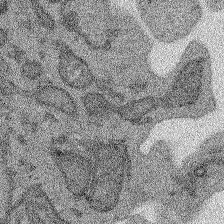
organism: Human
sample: HeLa cells